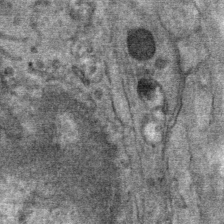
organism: Mouse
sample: Mouse Salivary gland